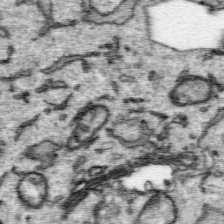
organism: Human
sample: HeLa cells